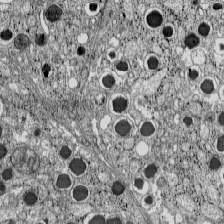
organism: C57BL Mouse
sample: Pancreatic islet